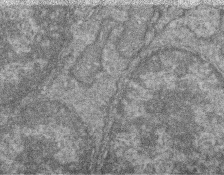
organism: Zebrafish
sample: Cilia; retinal pigment epithelium